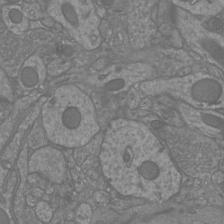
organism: Mouse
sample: Cortical neurons